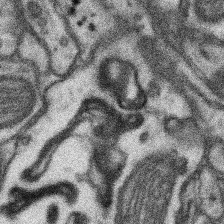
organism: Mouse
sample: Somatosensory cortex neuropil